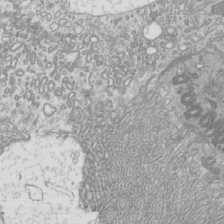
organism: Mouse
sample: Cilia; mouse epididymis